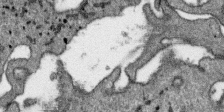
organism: Human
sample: Lung epithelial cells, uninfected (mock) control